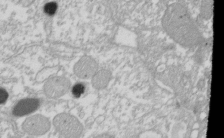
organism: Xenopus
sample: Cilia; centrioles in frog embryo cells